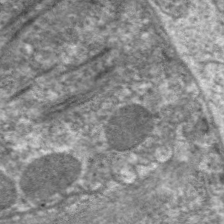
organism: C. elegans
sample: Pharynx